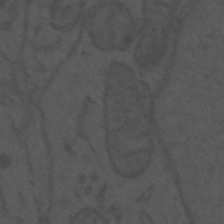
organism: Mouse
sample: Suprachiasmatic nucleus